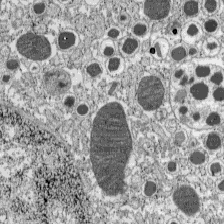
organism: C57BL Mouse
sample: Pancreatic islet